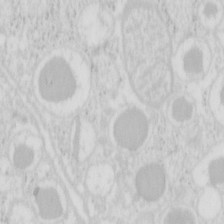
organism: Mouse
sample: Pancreas